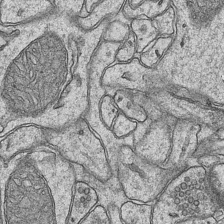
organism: Mouse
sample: CA1 Hippocampus